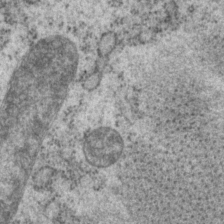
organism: P. pacificus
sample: Pharynx